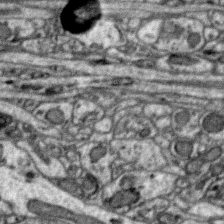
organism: Zebra finch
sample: Brain